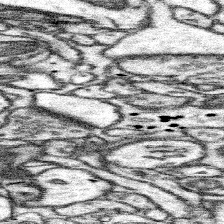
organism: Mouse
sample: Somatosensory cortex neuropil